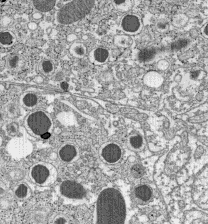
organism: C57BL Mouse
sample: Pancreatic islet